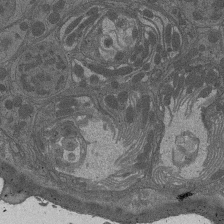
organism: Drosophila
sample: Antenna